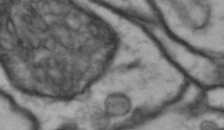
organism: Drosophila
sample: Brain